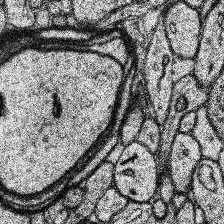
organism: Human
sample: Temporal Lobe